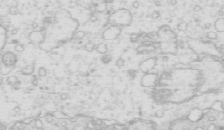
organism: Mouse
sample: Multiciliated cells